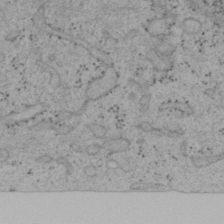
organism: Human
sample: HeLa cells